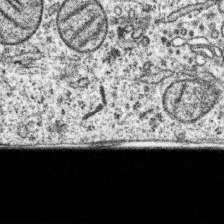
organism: Human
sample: HeLa cells